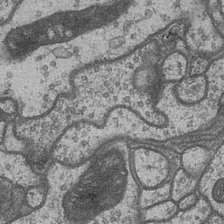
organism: Drosophila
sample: Optic medulla